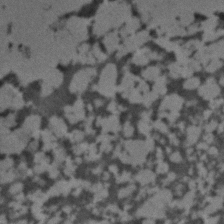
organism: C. elegans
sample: C. elegans embryo